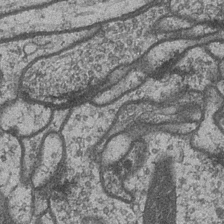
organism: Drosophila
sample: Optic medulla